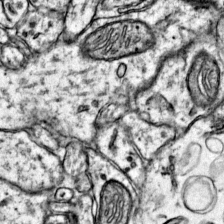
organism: Mouse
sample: Primary visual cortex